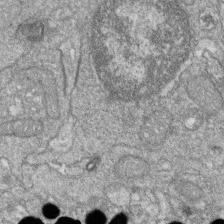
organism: Zebrafish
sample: Cilia; retinal pigment epithelium